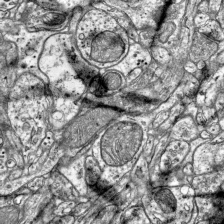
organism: Mouse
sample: Visual Cortex